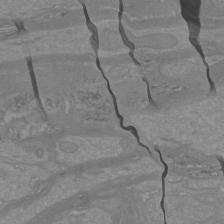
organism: Mouse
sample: Cortical neurons